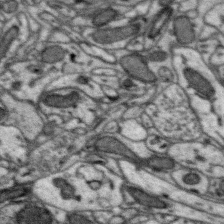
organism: Zebra finch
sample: Brain